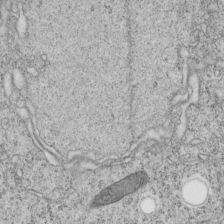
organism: C. elegans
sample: C. elegans embryo early stage